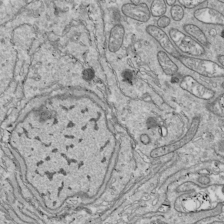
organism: Drosophila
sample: Cell division; meiosis; drosophila spermatocytes